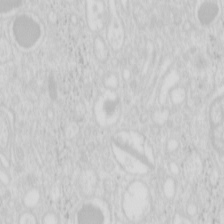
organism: Mouse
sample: Pancreas